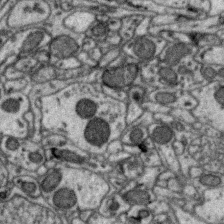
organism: Zebra finch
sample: Brain